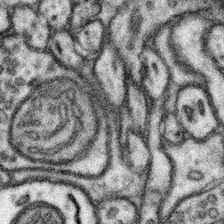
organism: Mouse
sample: Somatosensory cortex neuropil